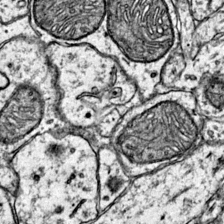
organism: Mouse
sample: Primary visual cortex